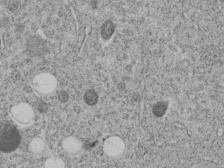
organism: C. elegans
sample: C. elegans embryo early stage